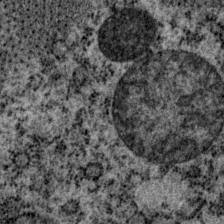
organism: P. pacificus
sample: Pharynx